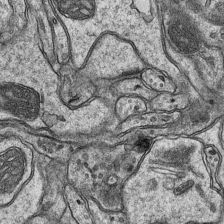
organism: Mouse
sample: CA1 Hippocampus